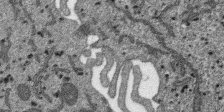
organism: Human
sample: Lung epithelial cells infected with SARS-CoV-2